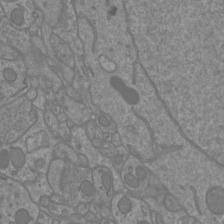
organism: Mouse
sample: Cortical neurons